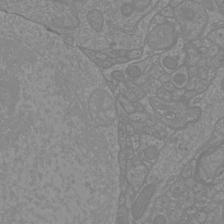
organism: Mouse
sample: Cortical neurons